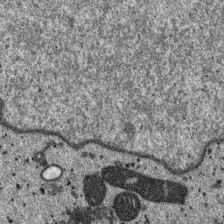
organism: Human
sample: Lung epithelial cells infected with SARS-CoV-2